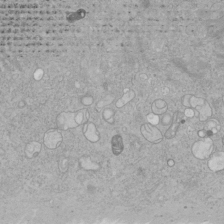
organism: Human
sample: Mitochondria in HCT116 cells